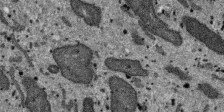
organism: Human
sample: Lung epithelial cells, uninfected (mock) control